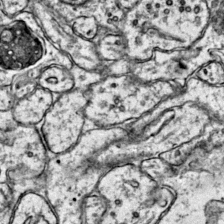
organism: Mouse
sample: Primary visual cortex